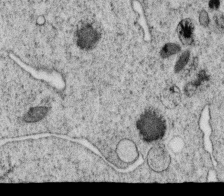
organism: C. elegans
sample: C. elegans oocyte; sperm cells